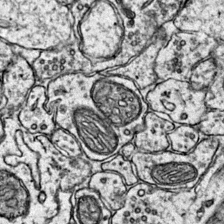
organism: Mouse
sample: Primary visual cortex